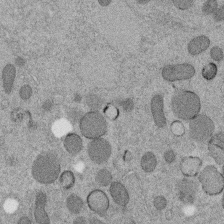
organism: C. elegans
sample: C. elegans embryo early stage